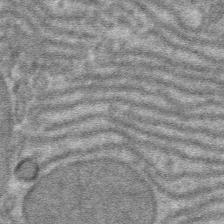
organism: Mouse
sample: Mouse hepatocytes